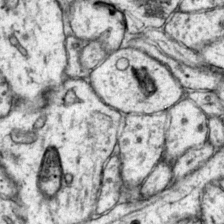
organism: Mouse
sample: Primary visual cortex